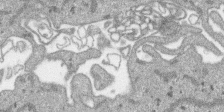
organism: Human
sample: Lung epithelial cells infected with SARS-CoV-2